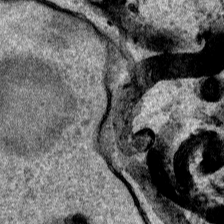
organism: Human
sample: Mitochondria in HCT116 cells